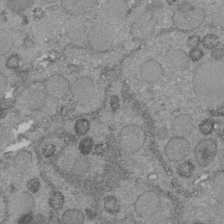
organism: C. elegans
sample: C. elegans embryo early stage